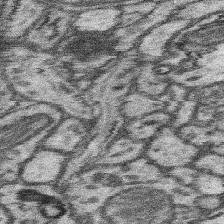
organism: Mouse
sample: Somatosensory cortex neuropil